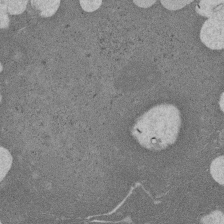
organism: Rat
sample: Salivary granule